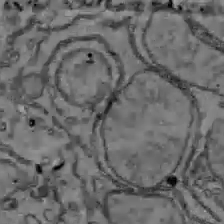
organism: C57BL Mouse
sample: Liver